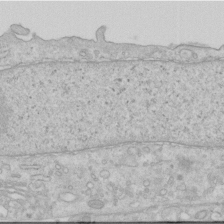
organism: Human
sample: Centriole in RPE cells